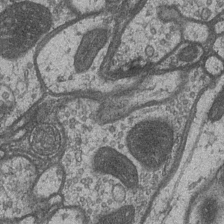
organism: Drosophila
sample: Optic medulla